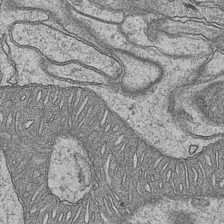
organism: Mouse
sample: CA1 Hippocampus